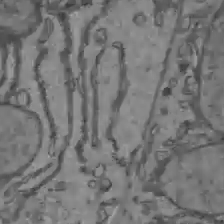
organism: C57BL Mouse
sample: Liver